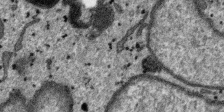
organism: Human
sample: Lung epithelial cells, uninfected (mock) control